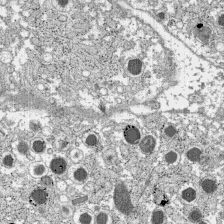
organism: C57BL Mouse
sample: Pancreatic islet